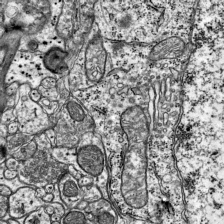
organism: Mouse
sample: Visual Cortex